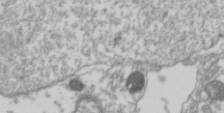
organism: Drosophila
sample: Cell division; meiosis; drosophila spermatocytes